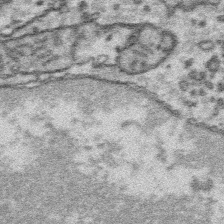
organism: Platynereis dumerilii